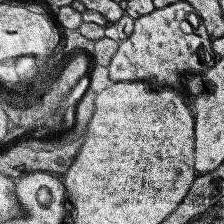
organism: Human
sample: Temporal Lobe